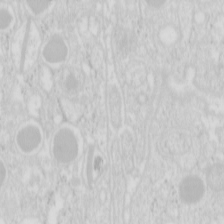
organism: Mouse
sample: Pancreas